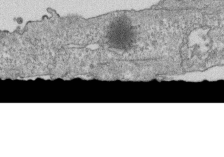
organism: Human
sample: HeLa cell HIV synapse